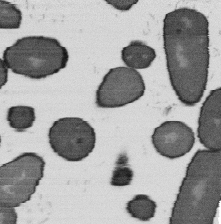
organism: B. subtilis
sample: Bacterial spore